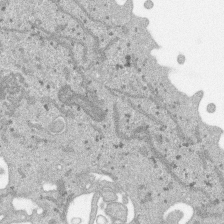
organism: Human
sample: Lung epithelial cells infected with SARS-CoV-2